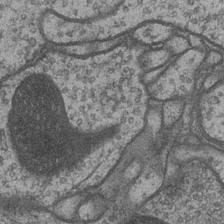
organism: Drosophila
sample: Optic medulla